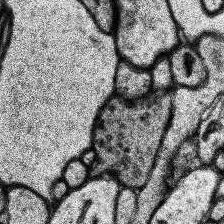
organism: Human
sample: Temporal Lobe